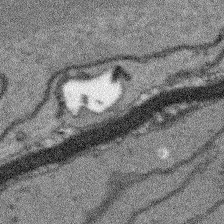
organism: Arabidopsis thaliana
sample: Root tip